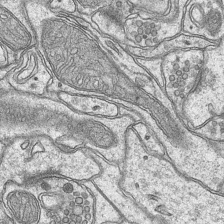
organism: Mouse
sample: CA1 Hippocampus